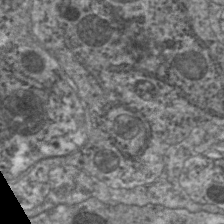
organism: C. elegans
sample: Pharynx